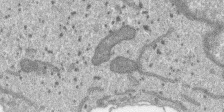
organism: Human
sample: Lung epithelial cells infected with SARS-CoV-2